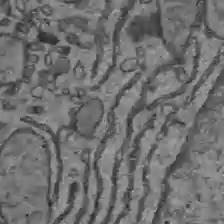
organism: C57BL Mouse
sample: Liver